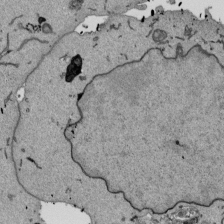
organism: Mouse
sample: ED-1 cell nuclei; centrioles